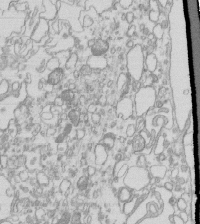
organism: Mouse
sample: Macrophages